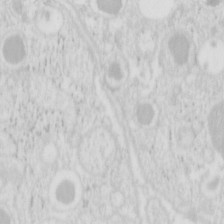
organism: Mouse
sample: Pancreas